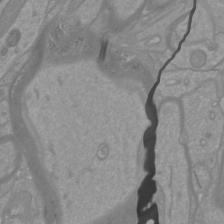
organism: Mouse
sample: Cortical neurons